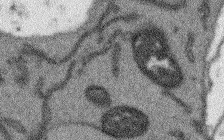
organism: Arabidopsis thaliana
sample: Root tip